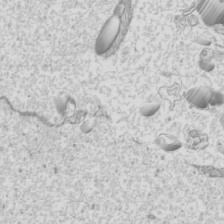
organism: Mouse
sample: Cilia; mouse epididymis